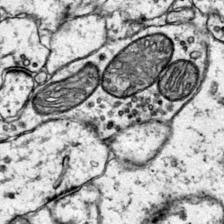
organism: Mouse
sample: Primary visual cortex